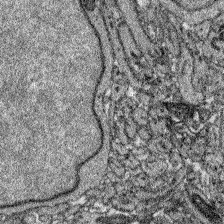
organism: Zebrafish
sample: Larval olfactory bulb